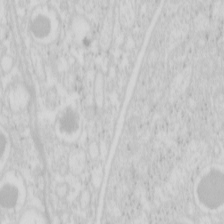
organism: Mouse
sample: Pancreas